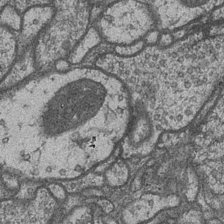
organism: Drosophila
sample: Optic medulla